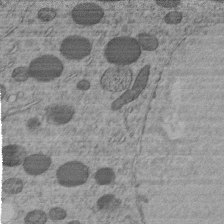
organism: C. elegans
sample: C. elegans embryo early stage